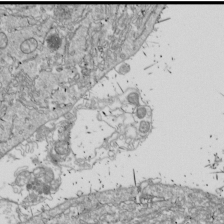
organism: Drosophila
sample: Cell division; meiosis; drosophila spermatocytes